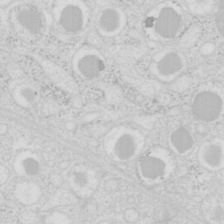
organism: Mouse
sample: Pancreas